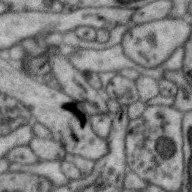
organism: Zebra finch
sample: Brain